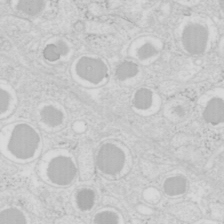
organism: Mouse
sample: Pancreas